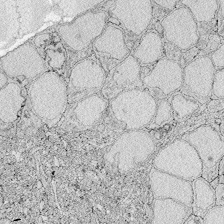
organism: Zebrafish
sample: Whole-Brain